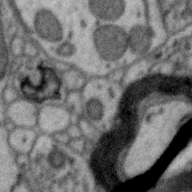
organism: Zebra finch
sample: Brain